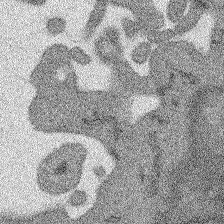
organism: Human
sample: HeLa cells